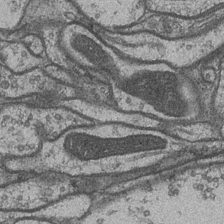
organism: Drosophila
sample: Optic medulla